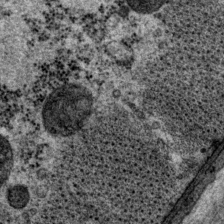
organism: P. pacificus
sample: Pharynx